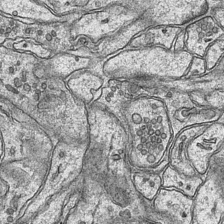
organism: Mouse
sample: CA1 Hippocampus